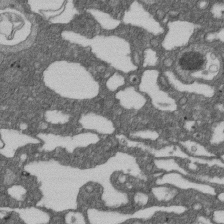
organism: Drosophila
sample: Nephrocyte